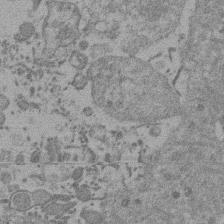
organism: Mouse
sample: Dividing mouse embryo 1 cell stage